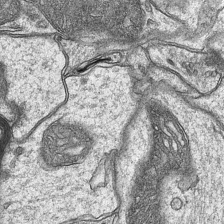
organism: Mouse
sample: CA1 Hippocampus